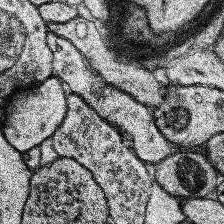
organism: Human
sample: Temporal Lobe